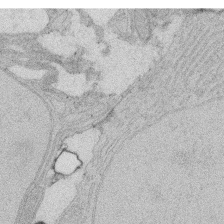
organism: Rat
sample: Salivary granule